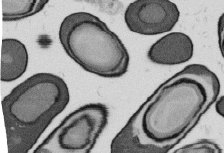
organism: B. subtilis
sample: Bacterial spore